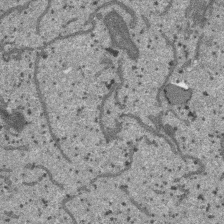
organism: Human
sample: Lung epithelial cells infected with SARS-CoV-2